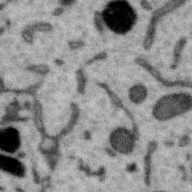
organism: Zebra finch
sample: Brain